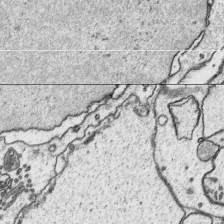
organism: Platynereis dumerilii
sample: Parapodia